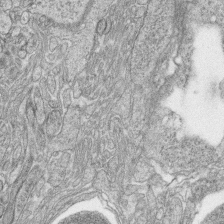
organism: Zebrafish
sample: synaptic ribbons in rod cells and cone cells